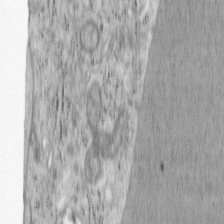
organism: Human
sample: HeLa cells